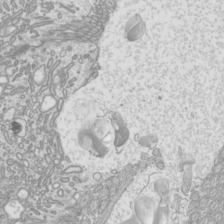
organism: Mouse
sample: Cilia; mouse epididymis